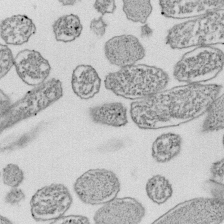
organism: E. coli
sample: Bacterial nucleoid